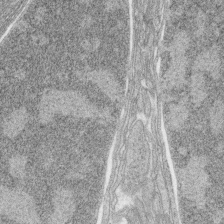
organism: Zebrafish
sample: synaptic ribbons in rod cells and cone cells